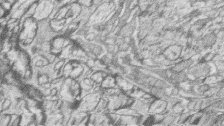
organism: Zebrafish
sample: synaptic ribbons in rod cells and cone cells